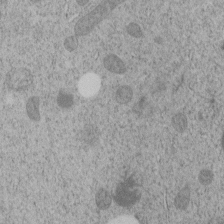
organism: C. elegans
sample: C. elegans embryo early stage